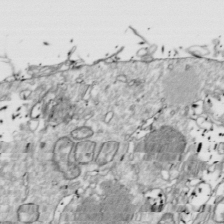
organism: Drosophila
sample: Cell division; meiosis; drosophila spermatocytes